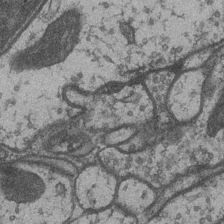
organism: Drosophila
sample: Optic medulla